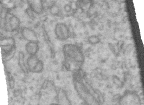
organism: Human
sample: Centriole in RPE cells